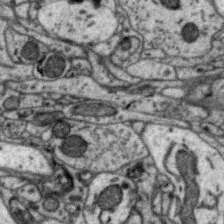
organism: Zebra finch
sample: Brain